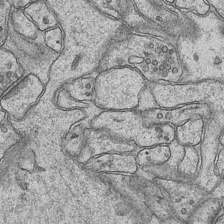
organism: Mouse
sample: CA1 Hippocampus